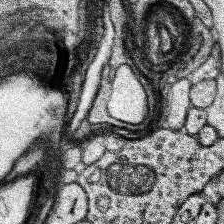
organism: Human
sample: Temporal Lobe